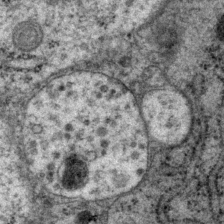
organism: P. pacificus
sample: Pharynx